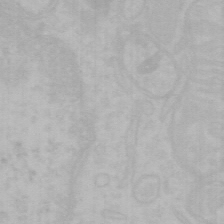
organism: Mouse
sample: Choroid plexus